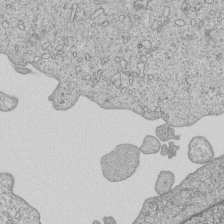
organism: Human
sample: MDA-MB-231 cells